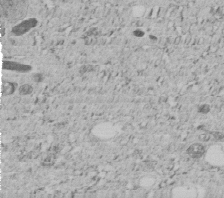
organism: C. elegans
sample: C. elegans embryo early stage